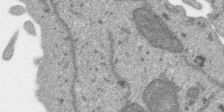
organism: Human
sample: Lung epithelial cells infected with SARS-CoV-2